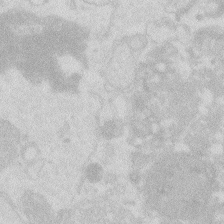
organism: Zebrafish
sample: Macrophage